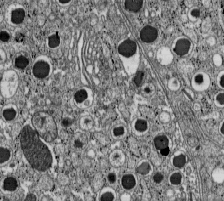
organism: C57BL Mouse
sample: Pancreatic islet